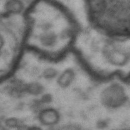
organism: Drosophila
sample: Brain